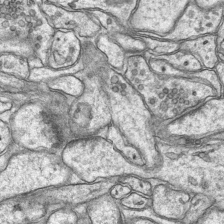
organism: Mouse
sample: CA1 Hippocampus